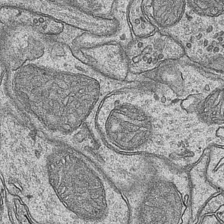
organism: Mouse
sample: CA1 Hippocampus